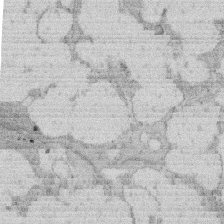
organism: Rat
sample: Salivary granule